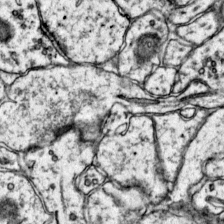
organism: Mouse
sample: Primary visual cortex